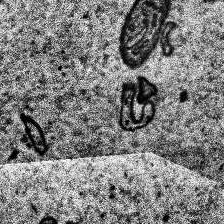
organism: Human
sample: Temporal Lobe